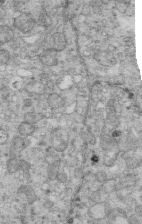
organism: Mouse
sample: Multiciliated cells